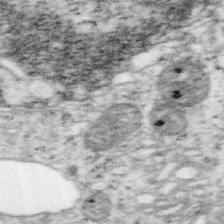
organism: Mouse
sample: OT-I killer T cells with ID8 ovarian cancer cells